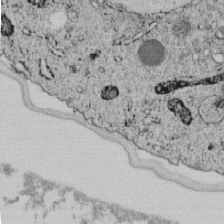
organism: C. elegans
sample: C. elegans embryo early stage